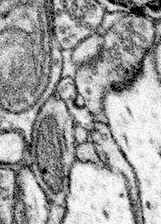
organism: Mouse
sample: Somatosensory cortex neuropil